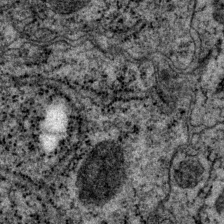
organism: P. pacificus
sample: Pharynx